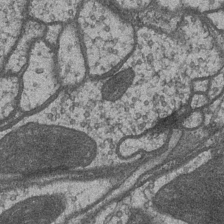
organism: Drosophila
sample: Optic medulla